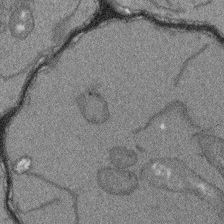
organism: Arabidopsis thaliana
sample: Root tip